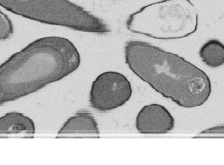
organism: B. subtilis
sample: Bacterial spore